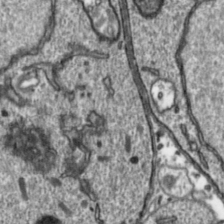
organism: Toxoplasma gondii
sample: Parasites in a vacuole inside a host cell